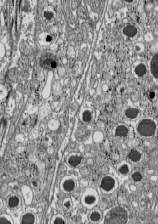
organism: C57BL Mouse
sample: Pancreatic islet